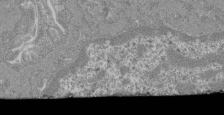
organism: Mouse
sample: Glomerulus